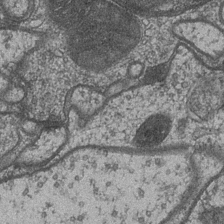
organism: Drosophila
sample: Optic medulla